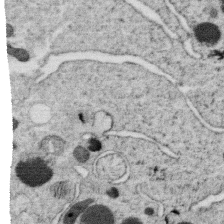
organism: C. elegans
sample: C. elegans oocyte; sperm cells